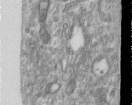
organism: Human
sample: Centriole in RPE cells